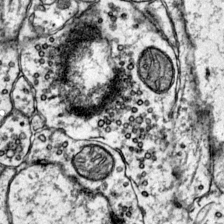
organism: Mouse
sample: Primary visual cortex